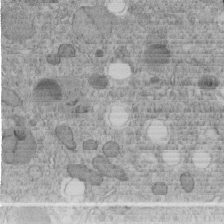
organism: C. elegans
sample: C. elegans embryo early stage